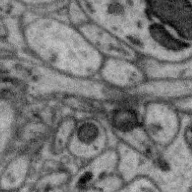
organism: Zebra finch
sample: Brain